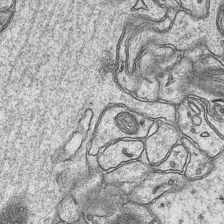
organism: Mouse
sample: CA1 Hippocampus